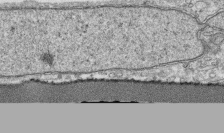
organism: Human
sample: CRL-1474